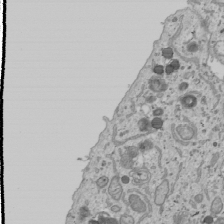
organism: Human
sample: Mitochondria in U2OS cells